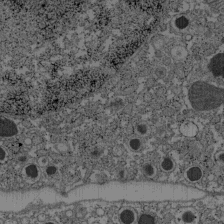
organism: C57BL Mouse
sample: Pancreatic islet